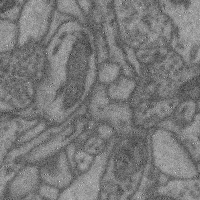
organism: Mouse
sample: Cerebral cortex